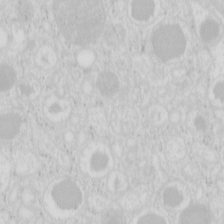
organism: Mouse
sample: Pancreas